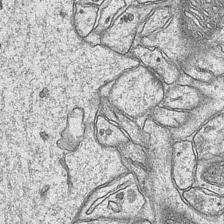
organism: Mouse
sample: CA1 Hippocampus